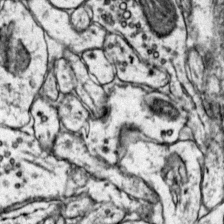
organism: Mouse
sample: Primary visual cortex